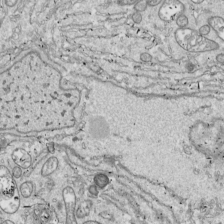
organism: Drosophila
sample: Cell division; meiosis; drosophila spermatocytes